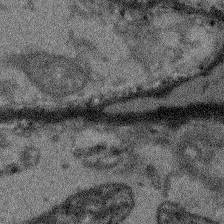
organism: Arabidopsis thaliana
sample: Root tip